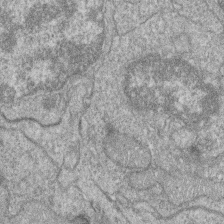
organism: Zebrafish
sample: Cilia; retinal pigment epithelium